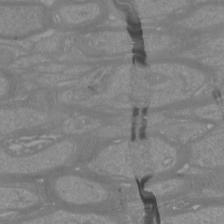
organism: Mouse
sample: Cortical neurons